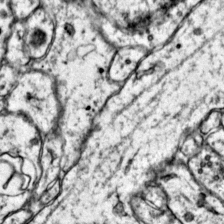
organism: Mouse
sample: Primary visual cortex